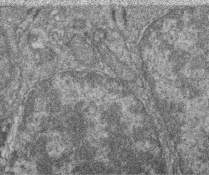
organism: Zebrafish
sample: Cilia; retinal pigment epithelium